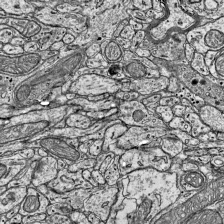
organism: Mouse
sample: Visual Cortex